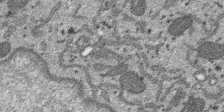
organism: Human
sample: Lung epithelial cells infected with SARS-CoV-2